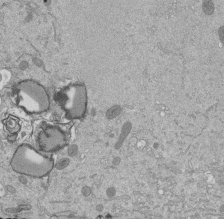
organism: Mouse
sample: ED-1 cell nuclei; centrioles